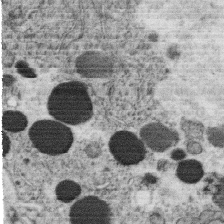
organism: C. elegans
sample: C. elegans oocyte; sperm cells